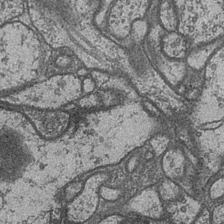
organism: Drosophila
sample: Optic medulla